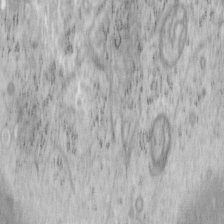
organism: Human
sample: HeLa cells